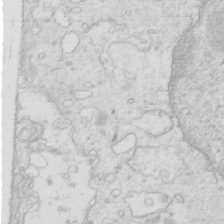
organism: Mouse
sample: Multiciliated cells